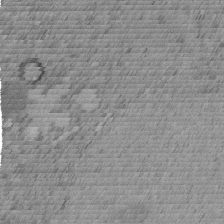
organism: C. elegans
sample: C. elegans embryo early stage